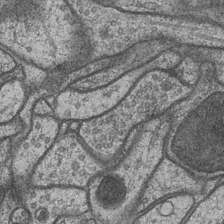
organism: Drosophila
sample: Optic medulla